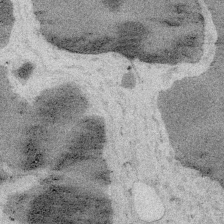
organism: Embia sp.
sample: Silk gland